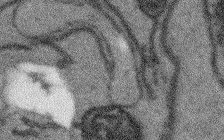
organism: Arabidopsis thaliana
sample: Root tip